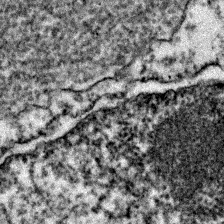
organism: Zebrafish